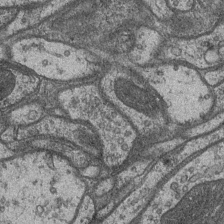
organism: Drosophila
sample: Optic medulla